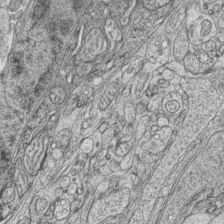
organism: Zebrafish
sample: synaptic ribbons in rod cells and cone cells